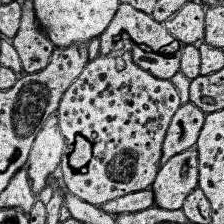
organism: Human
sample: Temporal Lobe